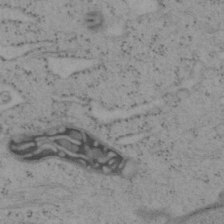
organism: Mouse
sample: OT-I killer T cells with ID8 ovarian cancer cells